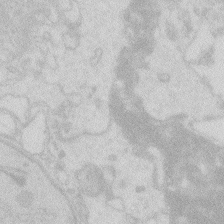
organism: Zebrafish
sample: Macrophage